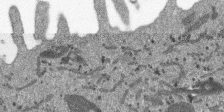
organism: Human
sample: Lung epithelial cells infected with SARS-CoV-2